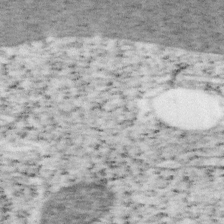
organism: Mouse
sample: OT-I killer T cells with ID8 ovarian cancer cells